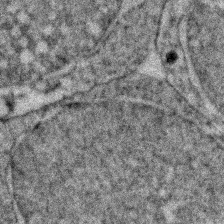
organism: Zebrafish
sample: Zebrafish embryo